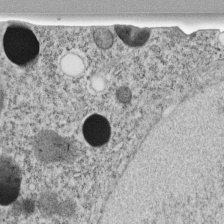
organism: C. elegans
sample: C. elegans embryo early stage